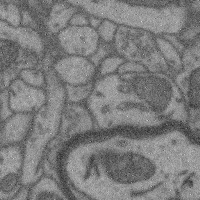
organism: Mouse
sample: Cerebral cortex